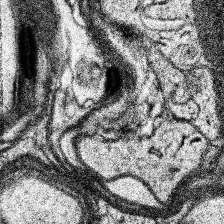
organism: Human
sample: Temporal Lobe